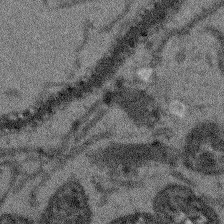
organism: Arabidopsis thaliana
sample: Root tip